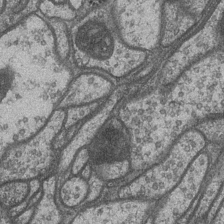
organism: Drosophila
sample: Optic medulla